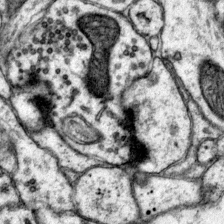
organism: Mouse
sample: Primary visual cortex